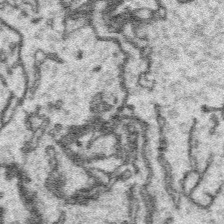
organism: Platynereis dumerilii